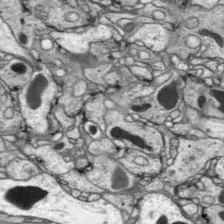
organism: Drosophila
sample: Optic lobe